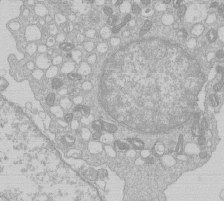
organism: Human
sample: Macrophage cells